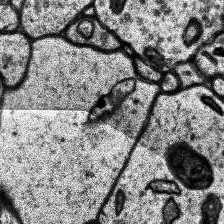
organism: Human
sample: Temporal Lobe